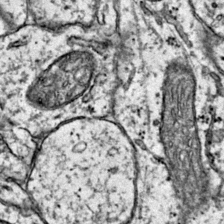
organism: Mouse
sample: Primary visual cortex